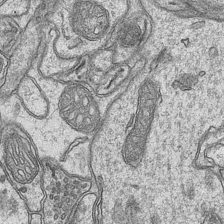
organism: Mouse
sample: CA1 Hippocampus